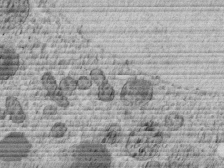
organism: C. elegans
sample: C. elegans embryo early stage